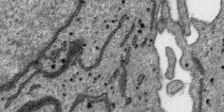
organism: Human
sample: Lung epithelial cells, uninfected (mock) control